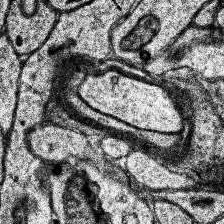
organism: Human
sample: Temporal Lobe